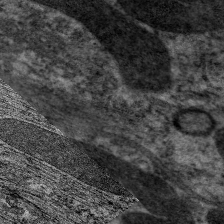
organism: C. elegans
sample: Pharynx